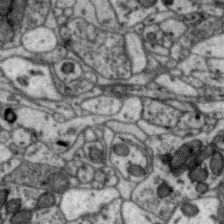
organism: Zebra finch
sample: Brain